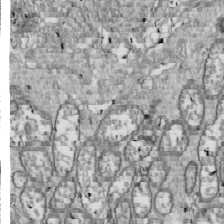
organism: Drosophila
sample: Cell division; meiosis; drosophila spermatocytes